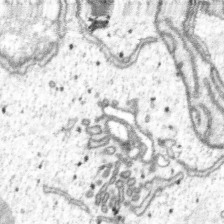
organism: Human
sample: HeLa cells